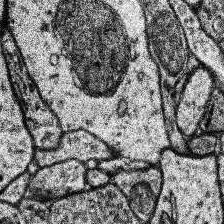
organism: Human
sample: Temporal Lobe